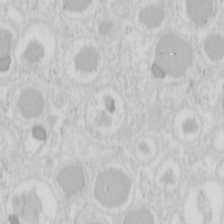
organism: Mouse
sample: Pancreas